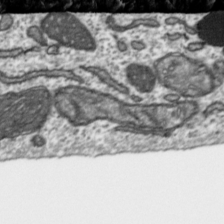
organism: Toxoplasma gondii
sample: Parasites in a vacuole inside a host cell